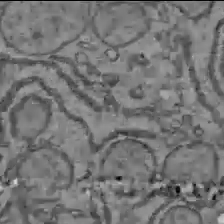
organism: C57BL Mouse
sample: Liver